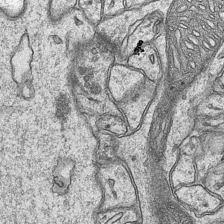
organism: Mouse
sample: CA1 Hippocampus